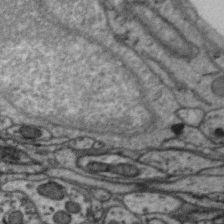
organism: Zebra finch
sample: Brain